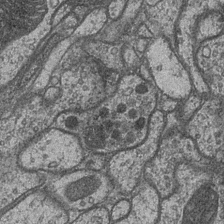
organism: Drosophila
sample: Optic medulla